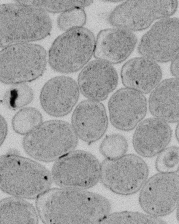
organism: E. coli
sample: Bacterial nucleoid